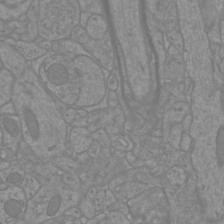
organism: Mouse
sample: Cortical neurons